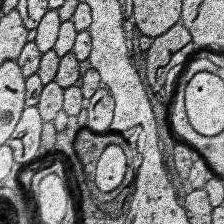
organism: Human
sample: Temporal Lobe